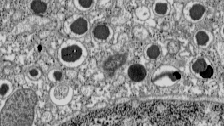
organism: C57BL Mouse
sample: Pancreatic islet